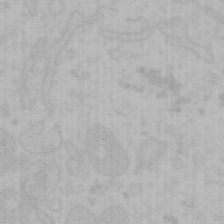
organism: Mouse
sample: Choroid plexus